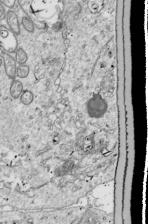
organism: Drosophila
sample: Cell division; meiosis; drosophila spermatocytes